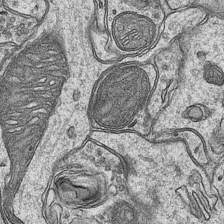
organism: Mouse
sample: CA1 Hippocampus